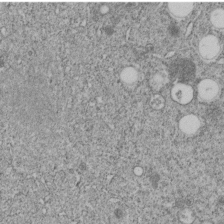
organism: C. elegans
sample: C. elegans embryo early stage